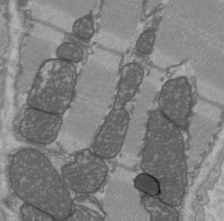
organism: C57BL Mouse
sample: Heart